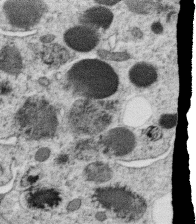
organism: C. elegans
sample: C. elegans oocyte; sperm cells